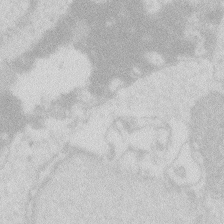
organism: Zebrafish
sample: Macrophage